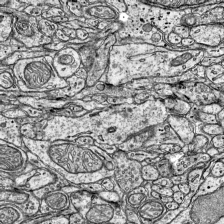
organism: Mouse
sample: Visual Cortex